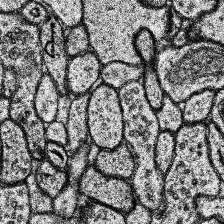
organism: Human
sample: Temporal Lobe